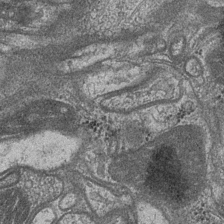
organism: Drosophila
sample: Optic medulla